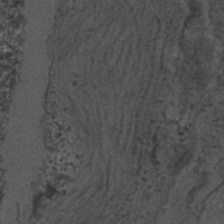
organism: C. elegans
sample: C. elegans embryo